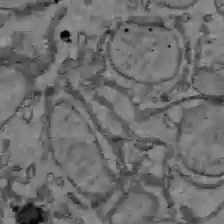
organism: C57BL Mouse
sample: Liver